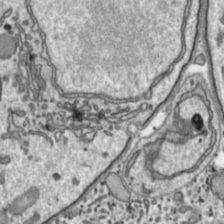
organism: Toxoplasma gondii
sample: Parasites in a vacuole inside a host cell